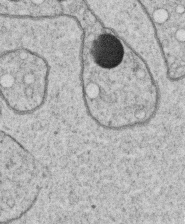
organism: C. elegans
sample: C. elegans oocyte; sperm cells